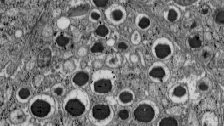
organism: C57BL Mouse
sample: Pancreatic islet